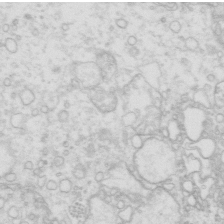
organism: Mouse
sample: Multiciliated cells